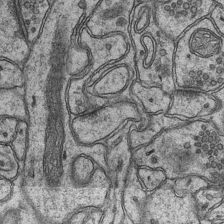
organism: Mouse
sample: CA1 Hippocampus